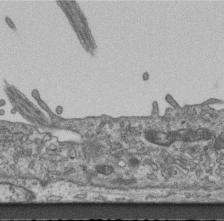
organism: Mouse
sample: Centriole in ependymal cells